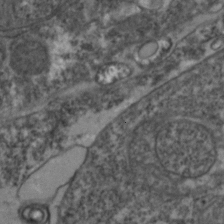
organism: Zebrafish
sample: Zebrafish embryo